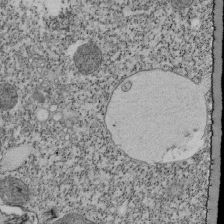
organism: Tetrahymena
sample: Cilia in tetrahymena